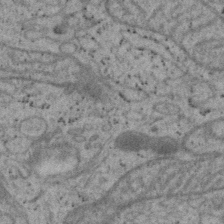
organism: Human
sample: HeLa cells